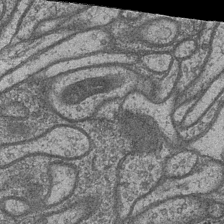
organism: Drosophila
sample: Optic medulla